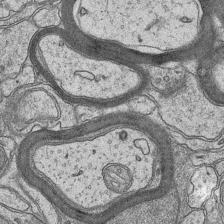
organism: Mouse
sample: CA1 Hippocampus